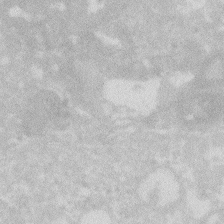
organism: Zebrafish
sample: Macrophage